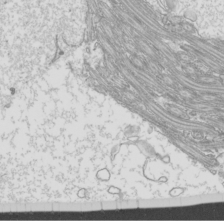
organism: Mouse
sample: Cilia; mouse epididymis